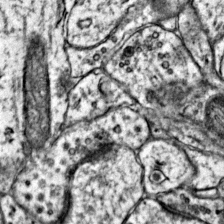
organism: Mouse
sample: Primary visual cortex